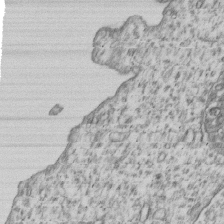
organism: Human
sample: MDA-MB-231 cells